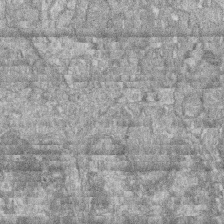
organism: Zebrafish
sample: Cilia; retinal pigment epithelium